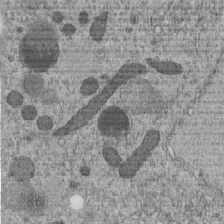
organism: C. elegans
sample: C. elegans embryo early stage